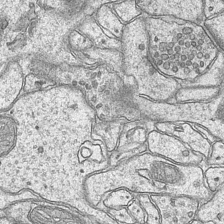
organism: Mouse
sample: CA1 Hippocampus